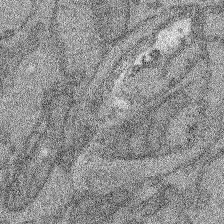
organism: Human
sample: HeLa cells